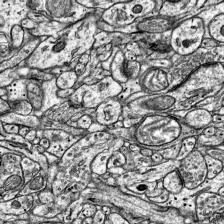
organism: Mouse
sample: Visual Cortex